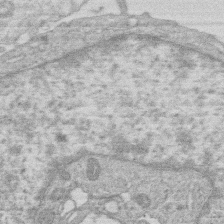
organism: Human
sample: Macrophage cells